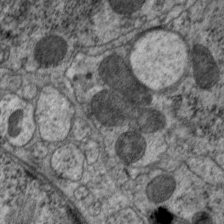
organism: C. elegans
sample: Pharynx